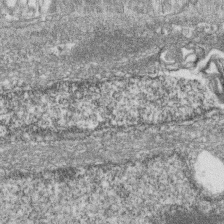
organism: Zebrafish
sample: Cilia; retinal pigment epithelium